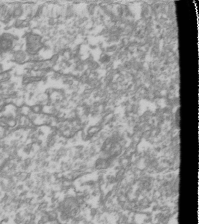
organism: Drosophila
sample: Cell division; meiosis; drosophila spermatocytes